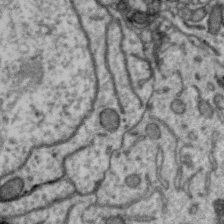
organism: Zebra finch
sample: Brain